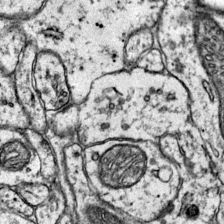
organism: Mouse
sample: Primary visual cortex